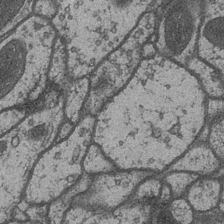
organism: Drosophila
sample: Optic medulla